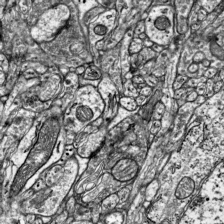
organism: Mouse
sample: Visual Cortex